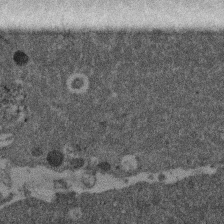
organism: Mouse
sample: Dividing mouse embryo 1 cell stage